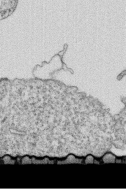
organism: Human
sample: HeLa cell HIV synapse